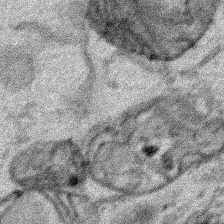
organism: Human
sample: Mitochondria in HCT116 cells